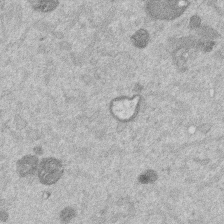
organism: Mouse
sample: Dividing mouse embryo 1 cell stage